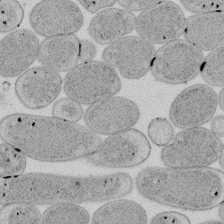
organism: E. coli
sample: Bacterial nucleoid